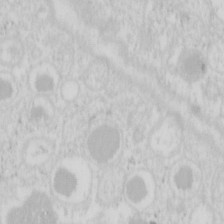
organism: Mouse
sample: Pancreas